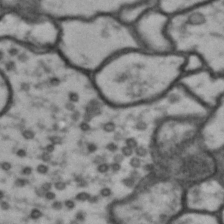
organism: Drosophila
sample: Brain